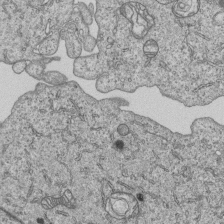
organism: Human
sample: MDA-MB-231 cells